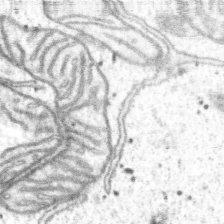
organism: Human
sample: HeLa cells